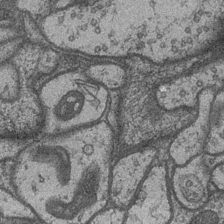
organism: Drosophila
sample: Optic medulla